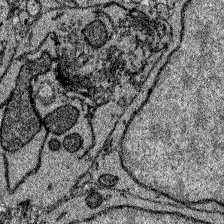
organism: Zebrafish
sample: Larval olfactory bulb